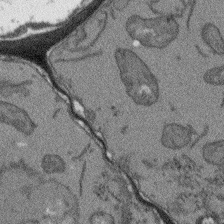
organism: Arabidopsis thaliana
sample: Root tip